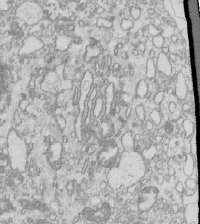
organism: Mouse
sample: Macrophages